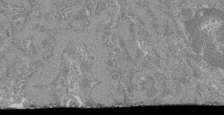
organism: Mouse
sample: Glomerulus